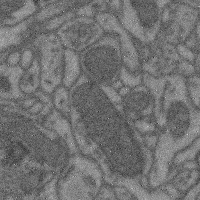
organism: Mouse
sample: Cerebral cortex